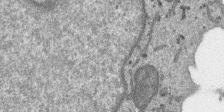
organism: Human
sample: Lung epithelial cells infected with SARS-CoV-2